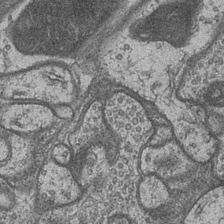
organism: Drosophila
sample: Optic medulla